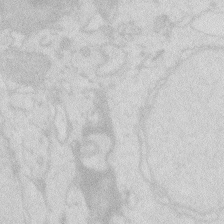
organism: Zebrafish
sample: Macrophage